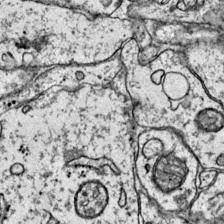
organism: Mouse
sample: Primary visual cortex